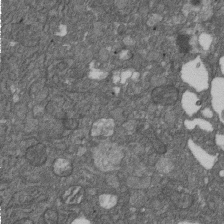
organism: Drosophila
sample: Nephrocyte